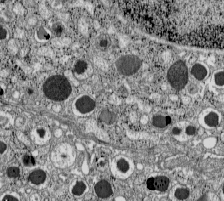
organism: C57BL Mouse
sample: Pancreatic islet